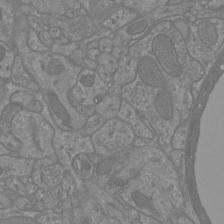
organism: Mouse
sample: Cortical neurons